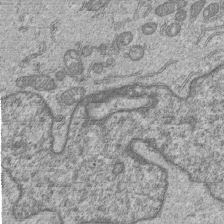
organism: Human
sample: MDA-MB-231 cells